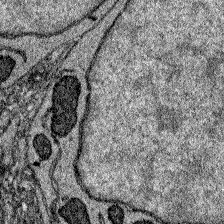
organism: Zebrafish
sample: Larval olfactory bulb